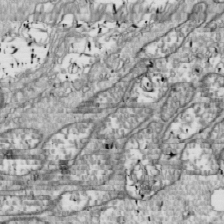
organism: Drosophila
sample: Cell division; meiosis; drosophila spermatocytes